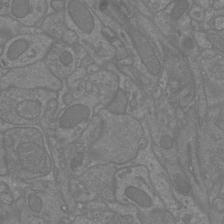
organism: Mouse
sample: Cortical neurons